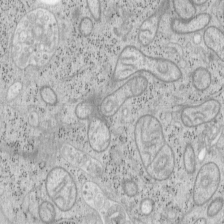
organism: Mouse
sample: OT-I killer T cells with ID8 ovarian cancer cells